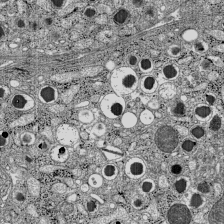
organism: C57BL Mouse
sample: Pancreatic islet